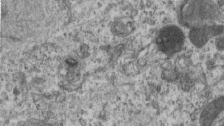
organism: Mouse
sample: Centriole in ependymal cells